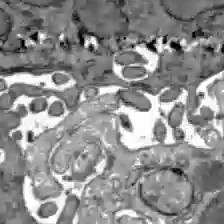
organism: C57BL Mouse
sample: Liver